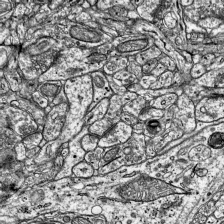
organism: Mouse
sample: Visual Cortex